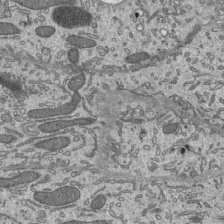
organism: Mouse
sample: Mouse epididymis efferent ductule cilia